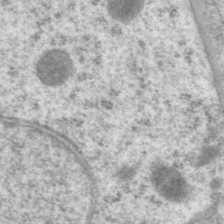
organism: P. pacificus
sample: Pharynx